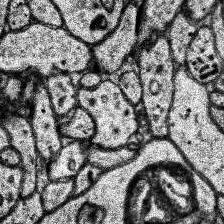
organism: Human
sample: Temporal Lobe